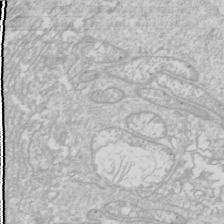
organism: Drosophila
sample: Cell division; meiosis; drosophila spermatocytes